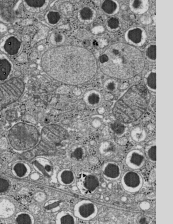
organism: C57BL Mouse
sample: Pancreatic islet